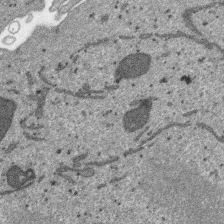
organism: Human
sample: Lung epithelial cells infected with SARS-CoV-2